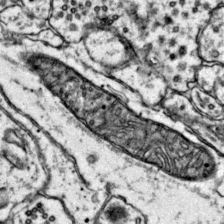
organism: Mouse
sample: Primary visual cortex